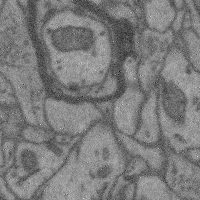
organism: Mouse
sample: Cerebral cortex